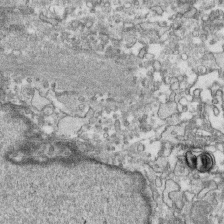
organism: Human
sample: CRL-1474